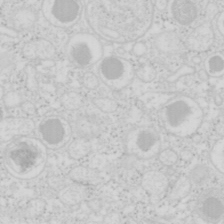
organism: Mouse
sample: Pancreas